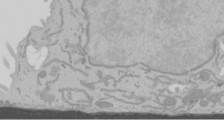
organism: Mouse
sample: Cancer cell death in ED-1 cells